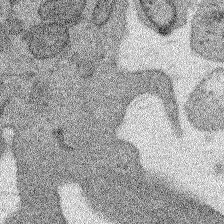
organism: Human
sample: HeLa cells